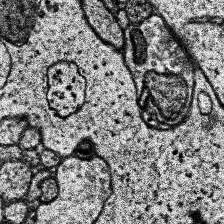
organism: Human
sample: Temporal Lobe